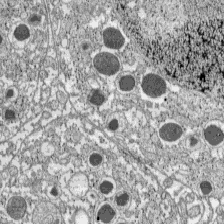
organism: C57BL Mouse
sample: Pancreatic islet